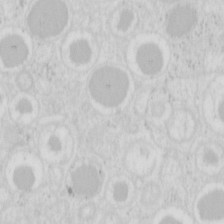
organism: Mouse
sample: Pancreas